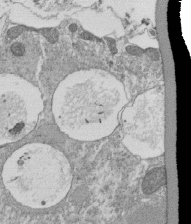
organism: Tetrahymena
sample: Cilia in tetrahymena